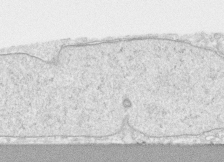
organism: Human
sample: CRL-1474